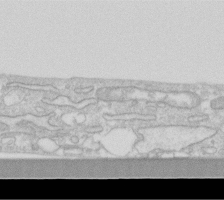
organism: Human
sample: Fibroblast cells